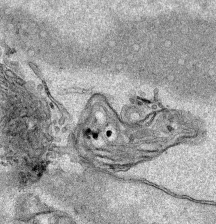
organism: Human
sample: Mitochondria in HCT116 cells